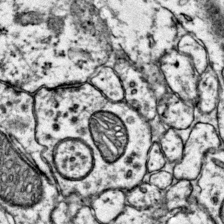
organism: Mouse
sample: Primary visual cortex